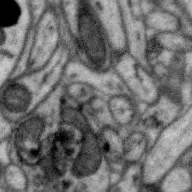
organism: Zebra finch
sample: Brain